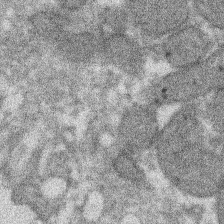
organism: Xenopus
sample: Cilia; centrioles in frog embryo cells